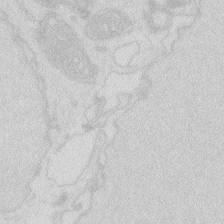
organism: Zebrafish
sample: Macrophage